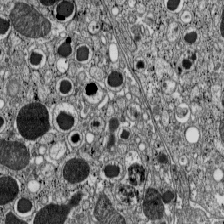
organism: C57BL Mouse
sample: Pancreatic islet